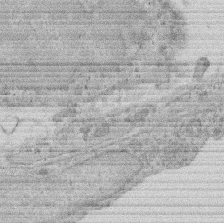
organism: Rat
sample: Salivary granule